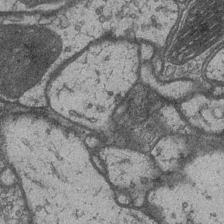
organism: Drosophila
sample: Optic medulla